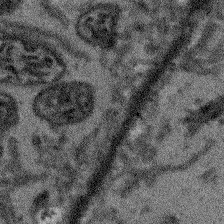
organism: Arabidopsis thaliana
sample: Root tip